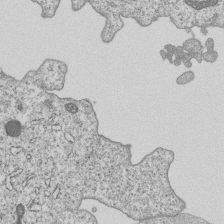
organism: Human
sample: MDA-MB-231 cells